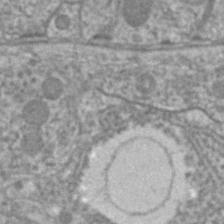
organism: C. elegans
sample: Pharynx